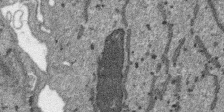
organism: Human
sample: Lung epithelial cells infected with SARS-CoV-2